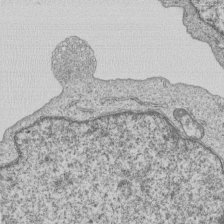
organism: Human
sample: MDA-MB-231 cells